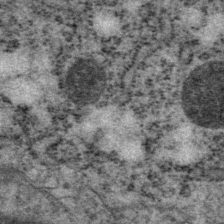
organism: P. pacificus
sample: Pharynx